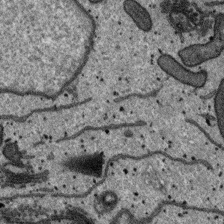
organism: Human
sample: Lung epithelial cells, uninfected (mock) control